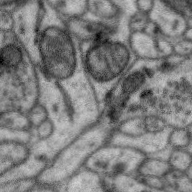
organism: Zebra finch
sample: Brain